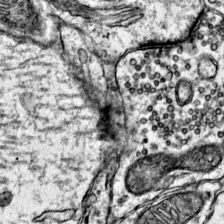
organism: Mouse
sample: Primary visual cortex